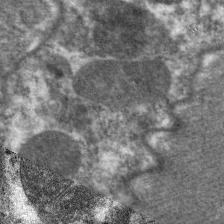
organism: C. elegans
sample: Pharynx